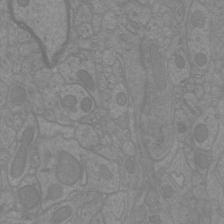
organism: Mouse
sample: Cortical neurons